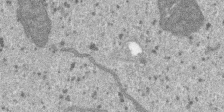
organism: Human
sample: Lung epithelial cells infected with SARS-CoV-2